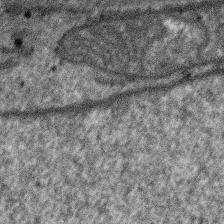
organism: Human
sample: Lung epithelial cells infected with SARS-CoV-2